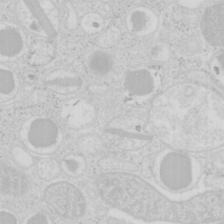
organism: Mouse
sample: Pancreas